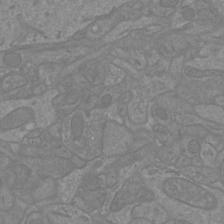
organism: Mouse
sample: Cortical neurons